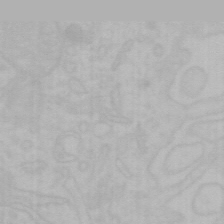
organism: Mouse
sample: Choroid plexus